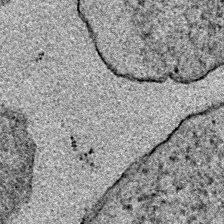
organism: E. coli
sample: E. Coli Bacteria